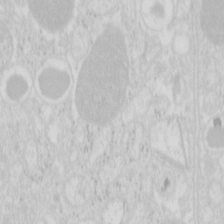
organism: Mouse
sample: Pancreas